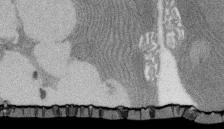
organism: Rat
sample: Salivary granule